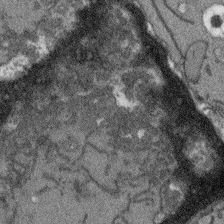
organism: Arabidopsis thaliana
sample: Root tip